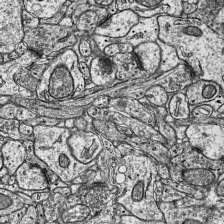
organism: Mouse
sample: Visual Cortex